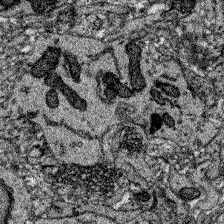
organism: Zebrafish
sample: Larval olfactory bulb